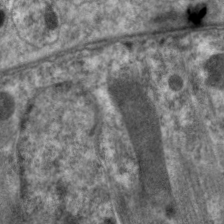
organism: C. elegans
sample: Pharynx